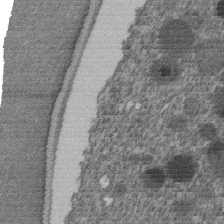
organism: C. elegans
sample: C. elegans embryo early stage